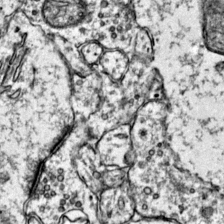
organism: Mouse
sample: Primary visual cortex